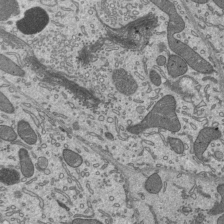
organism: Mouse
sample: Mouse epididymis efferent ductule cilia